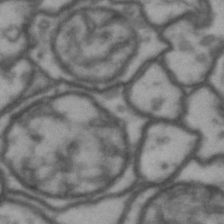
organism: Drosophila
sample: Brain